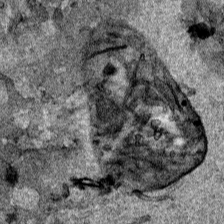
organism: Human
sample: Mitochondria in HCT116 cells